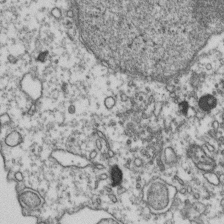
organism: Human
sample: Activated Jurkat CD4+ T cells